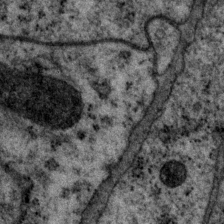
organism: P. pacificus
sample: Pharynx